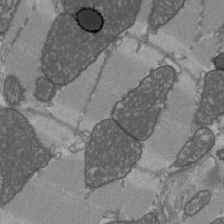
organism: C57BL Mouse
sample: Heart